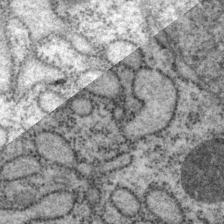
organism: P. pacificus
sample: Pharynx